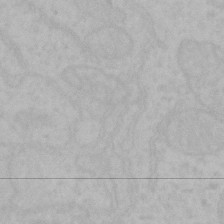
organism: Mouse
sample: Choroid plexus